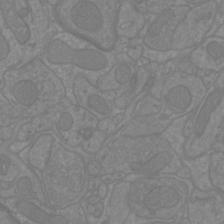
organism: Mouse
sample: Cortical neurons